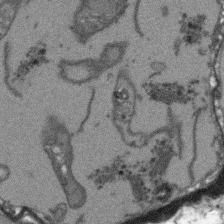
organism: Arabidopsis thaliana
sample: Root tip